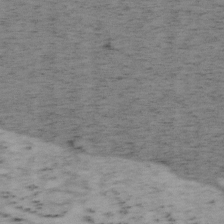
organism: Mouse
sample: OT-I killer T cells with ID8 ovarian cancer cells